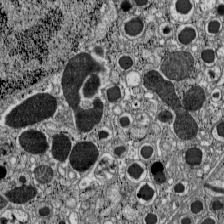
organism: C57BL Mouse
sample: Pancreatic islet